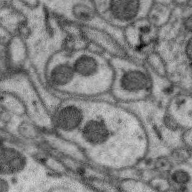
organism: Zebra finch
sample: Brain